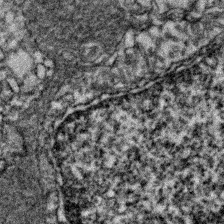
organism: Zebrafish